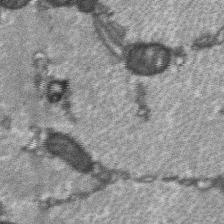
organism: C57BL Mouse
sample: Soleus